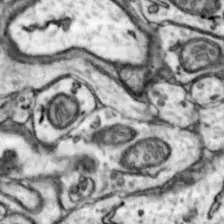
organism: Mouse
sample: Nucleus accumbens